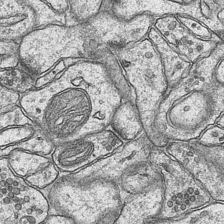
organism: Mouse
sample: CA1 Hippocampus